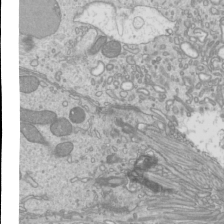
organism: Mouse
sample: Cilia; mouse epididymis